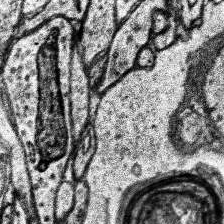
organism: Human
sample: Temporal Lobe